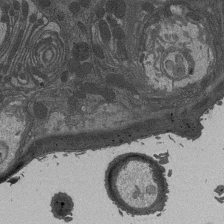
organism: Drosophila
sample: Antenna